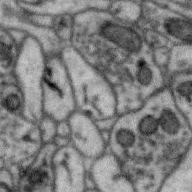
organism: Zebra finch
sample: Brain